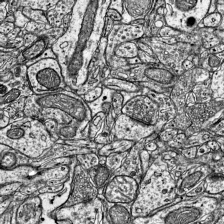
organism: Mouse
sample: Visual Cortex